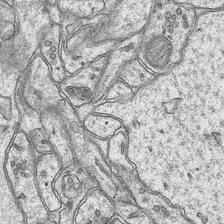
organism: Mouse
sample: CA1 Hippocampus